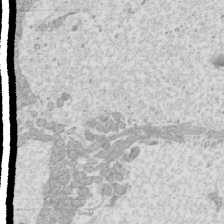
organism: Mouse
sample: Cilia; mouse epididymis